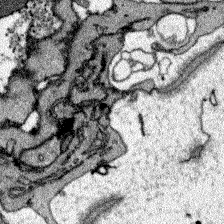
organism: Zebrafish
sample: Larval olfactory bulb